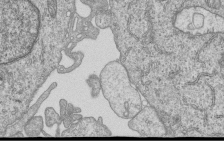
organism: Human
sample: MDA-MB-231 cells